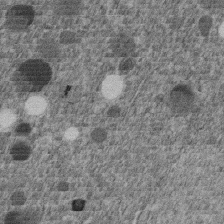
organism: C. elegans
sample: C. elegans embryo early stage